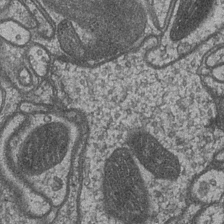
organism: Drosophila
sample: Optic medulla